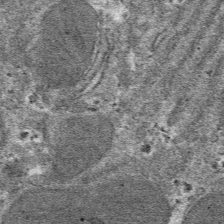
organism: Mouse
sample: Mouse hepatocytes